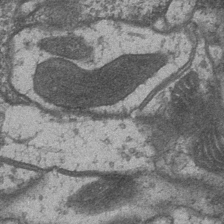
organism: Drosophila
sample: Optic medulla